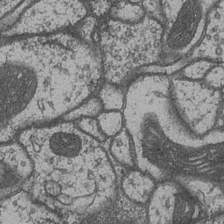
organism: Drosophila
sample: Optic medulla